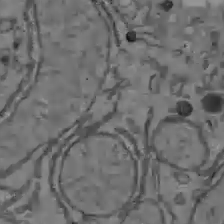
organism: C57BL Mouse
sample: Liver